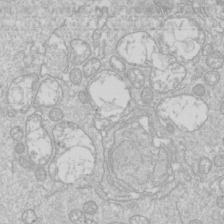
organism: Drosophila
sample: Cell division; meiosis; drosophila spermatocytes